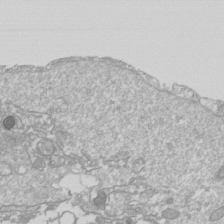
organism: Drosophila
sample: Cell division; meiosis; drosophila spermatocytes